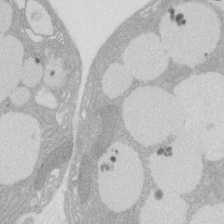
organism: Rat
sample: Salivary granule